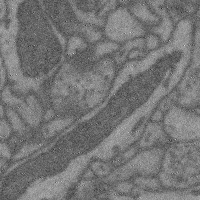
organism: Mouse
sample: Cerebral cortex